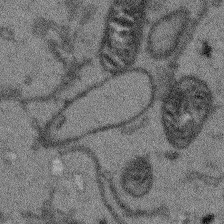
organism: Arabidopsis thaliana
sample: Root tip